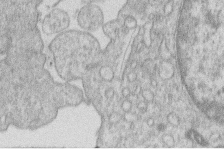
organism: Human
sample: Macrophage cells